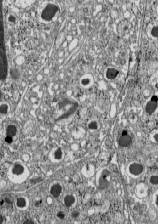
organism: C57BL Mouse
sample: Pancreatic islet